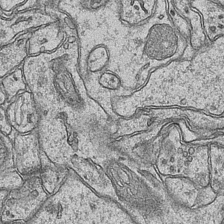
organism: Mouse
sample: CA1 Hippocampus